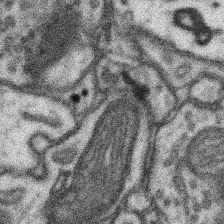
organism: Mouse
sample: Somatosensory cortex neuropil